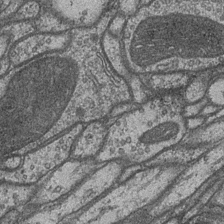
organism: Drosophila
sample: Optic medulla